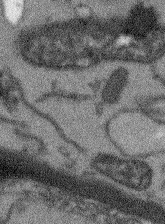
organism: Arabidopsis thaliana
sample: Root tip